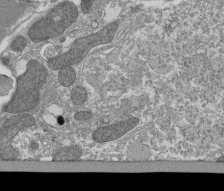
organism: Tetrahymena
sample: Cilia in tetrahymena